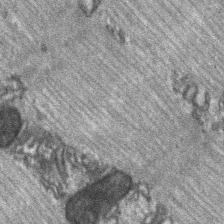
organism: C57BL Mouse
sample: Soleus